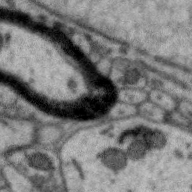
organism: Zebra finch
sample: Brain